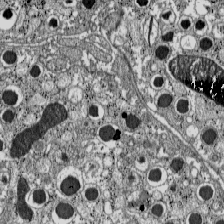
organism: C57BL Mouse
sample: Pancreatic islet